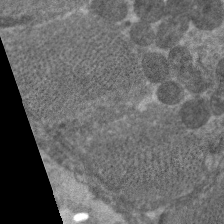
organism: C. elegans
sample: Pharynx